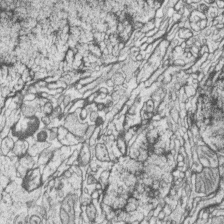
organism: Zebrafish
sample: synaptic ribbons in rod cells and cone cells